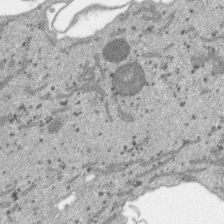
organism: Human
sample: Lung epithelial cells infected with SARS-CoV-2